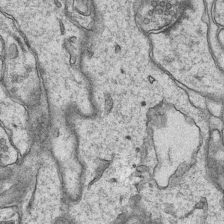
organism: Mouse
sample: CA1 Hippocampus